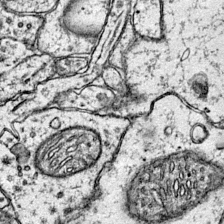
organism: Mouse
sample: Primary visual cortex